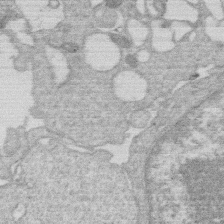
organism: Human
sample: Macrophage cells